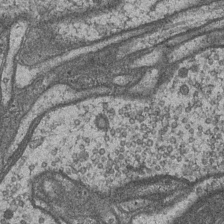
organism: Drosophila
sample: Optic medulla